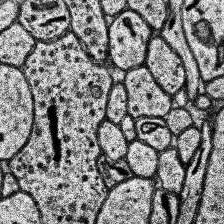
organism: Human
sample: Temporal Lobe